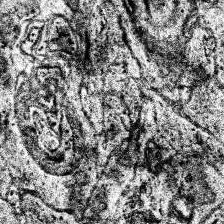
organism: Human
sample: Temporal Lobe